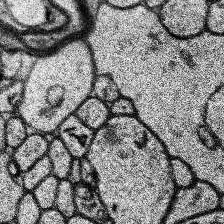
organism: Human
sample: Temporal Lobe